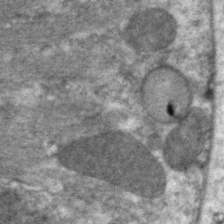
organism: C. elegans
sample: Pharynx